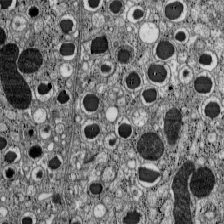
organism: C57BL Mouse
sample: Pancreatic islet